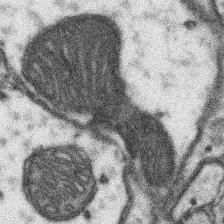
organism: Mouse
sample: Somatosensory cortex neuropil